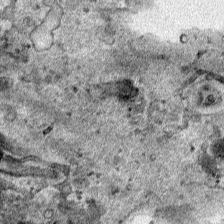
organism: Human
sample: Mitochondria in HCT116 cells